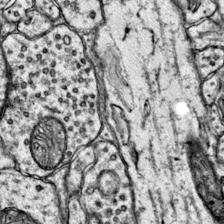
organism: Mouse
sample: Primary visual cortex